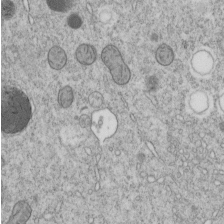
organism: C. elegans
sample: C. elegans embryo early stage